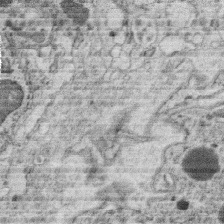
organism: C. elegans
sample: C. elegans oocyte; sperm cells